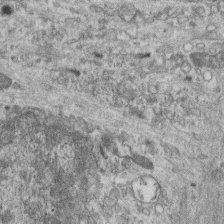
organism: Mouse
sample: Centriole in ependymal cells